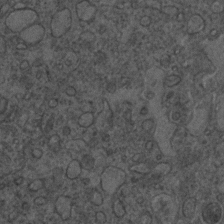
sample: Trachea